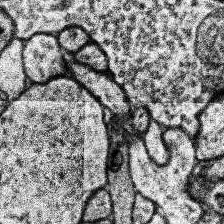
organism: Human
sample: Temporal Lobe